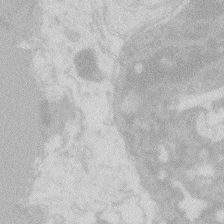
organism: Zebrafish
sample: Macrophage